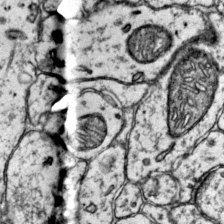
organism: Mouse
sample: Primary visual cortex